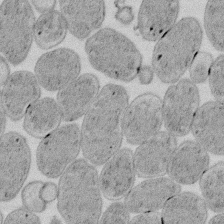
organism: E. coli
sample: Bacterial nucleoid